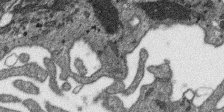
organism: Human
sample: Lung epithelial cells infected with SARS-CoV-2